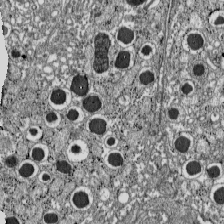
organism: C57BL Mouse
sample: Pancreatic islet